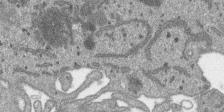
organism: Human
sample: Lung epithelial cells infected with SARS-CoV-2